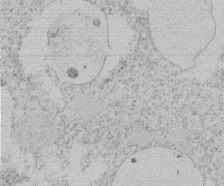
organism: Tetrahymena